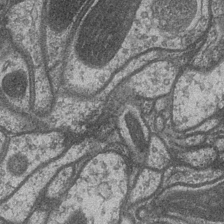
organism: Drosophila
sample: Optic medulla